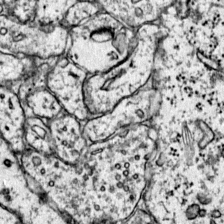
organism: Mouse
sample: Primary visual cortex